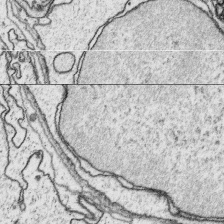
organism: Platynereis dumerilii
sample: Parapodia